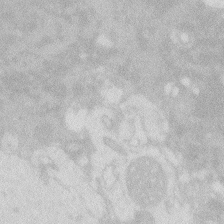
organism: Zebrafish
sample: Macrophage